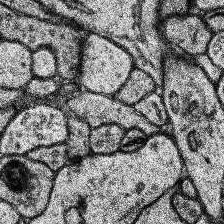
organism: Human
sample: Temporal Lobe